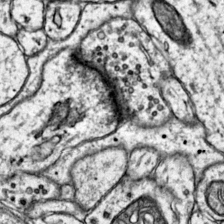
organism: Mouse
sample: Primary visual cortex